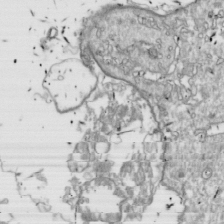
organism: Drosophila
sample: Cell division; meiosis; drosophila spermatocytes